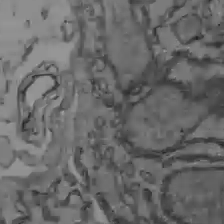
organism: C57BL Mouse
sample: Liver